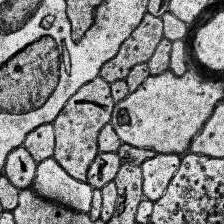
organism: Human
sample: Temporal Lobe